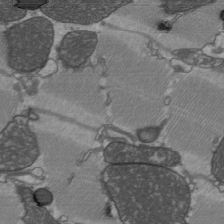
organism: C57BL Mouse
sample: Heart